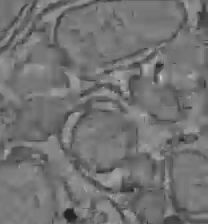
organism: C57BL Mouse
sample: Liver